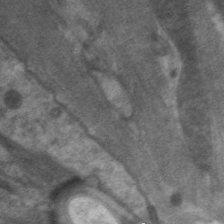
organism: C. elegans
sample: Pharynx